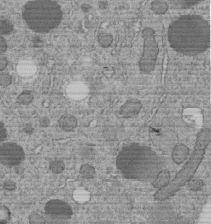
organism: C. elegans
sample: C. elegans embryo early stage